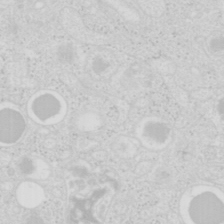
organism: Mouse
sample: Pancreas